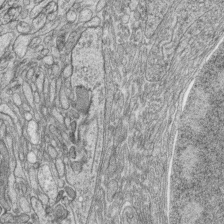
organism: Zebrafish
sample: synaptic ribbons in rod cells and cone cells